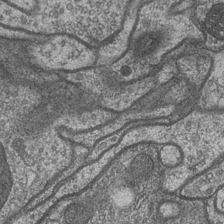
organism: Drosophila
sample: Optic medulla